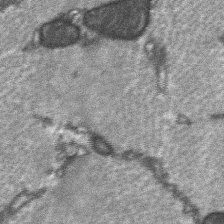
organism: C57BL Mouse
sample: Soleus